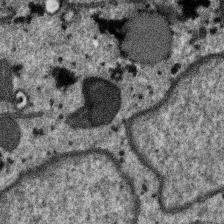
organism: Human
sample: Lung epithelial cells infected with SARS-CoV-2